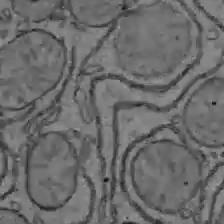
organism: C57BL Mouse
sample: Liver